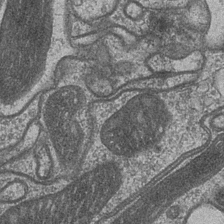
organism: Drosophila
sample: Optic medulla